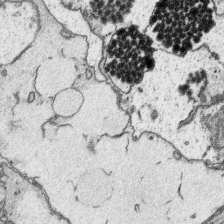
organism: Platynereis dumerilii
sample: Parapodia